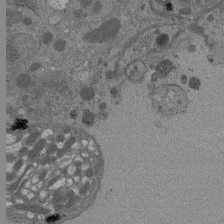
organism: Drosophila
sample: Antenna